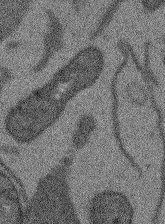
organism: Arabidopsis thaliana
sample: Root tip